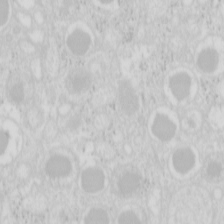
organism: Mouse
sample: Pancreas